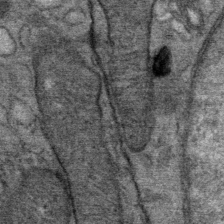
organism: Mouse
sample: Mouse Salivary gland